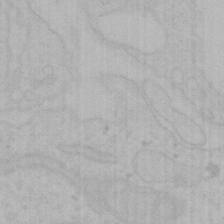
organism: Mouse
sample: Choroid plexus